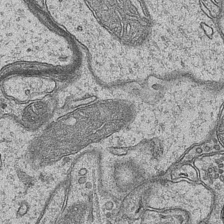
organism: Mouse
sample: CA1 Hippocampus